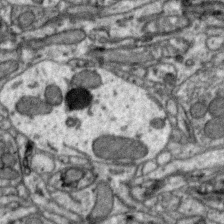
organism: Zebra finch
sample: Brain